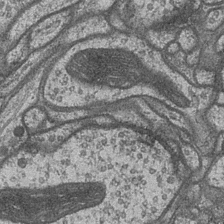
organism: Drosophila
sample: Optic medulla